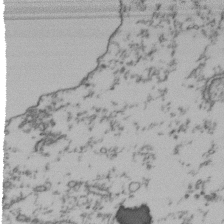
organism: Human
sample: Activated Jurkat CD4+ T cells